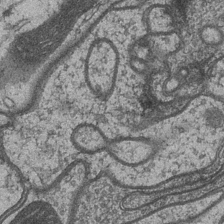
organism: Drosophila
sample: Optic medulla